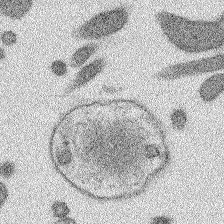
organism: Human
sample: HeLa cells